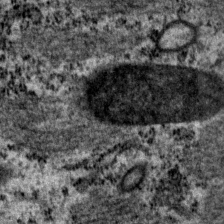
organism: P. pacificus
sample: Pharynx